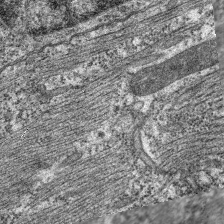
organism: C. elegans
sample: Pharynx